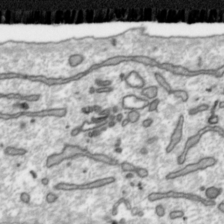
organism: Toxoplasma gondii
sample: Parasites in a vacuole inside a host cell